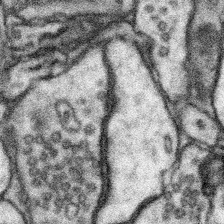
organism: Mouse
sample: Somatosensory cortex neuropil